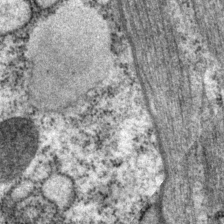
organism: P. pacificus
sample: Pharynx